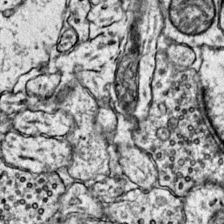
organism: Mouse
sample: Primary visual cortex